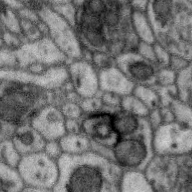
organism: Zebra finch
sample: Brain